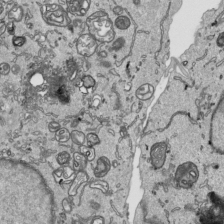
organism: Human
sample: Mitochondria in HCT116 cells